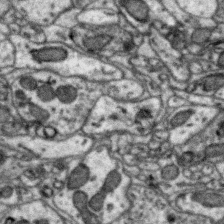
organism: Zebra finch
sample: Brain